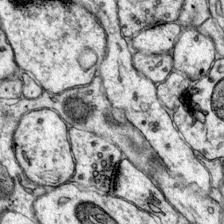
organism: Mouse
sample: Primary visual cortex